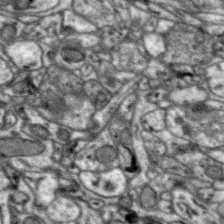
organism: Zebra finch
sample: Brain